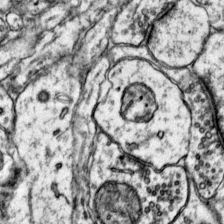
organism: Mouse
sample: Primary visual cortex